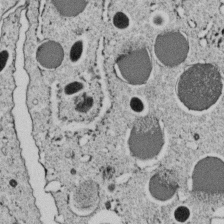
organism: C. elegans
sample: C. elegans embryo early stage